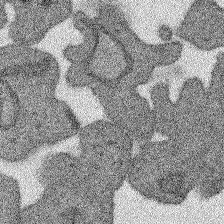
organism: Human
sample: HeLa cells